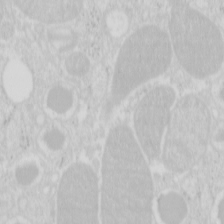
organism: Mouse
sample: Pancreas